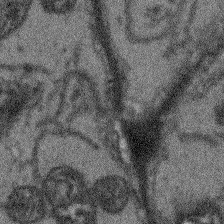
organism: Arabidopsis thaliana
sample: Root tip